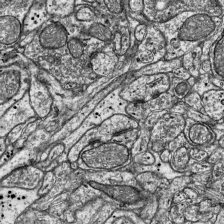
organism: Mouse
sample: Visual Cortex